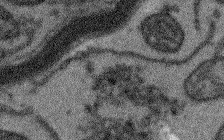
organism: Arabidopsis thaliana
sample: Root tip